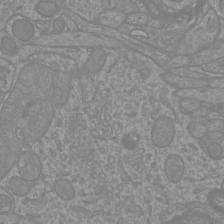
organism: Mouse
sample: Cortical neurons